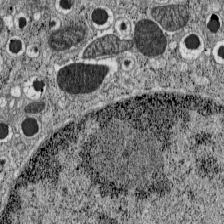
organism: C57BL Mouse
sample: Pancreatic islet